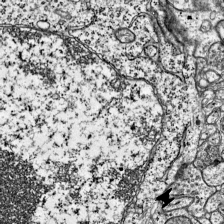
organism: Mouse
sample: Visual Cortex